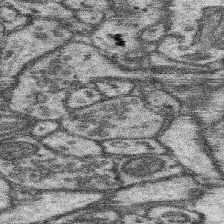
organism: Mouse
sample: Somatosensory cortex neuropil